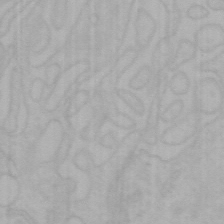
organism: Mouse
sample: Choroid plexus